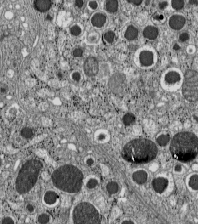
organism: C57BL Mouse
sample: Pancreatic islet